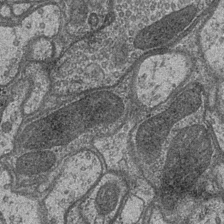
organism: Drosophila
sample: Optic medulla